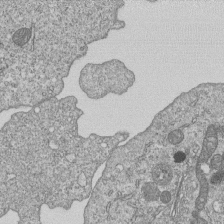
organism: Human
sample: MDA-MB-231 cells